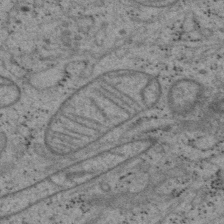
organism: Human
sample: HeLa cells